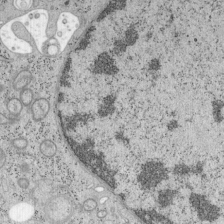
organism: Mouse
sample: OT-I killer T cells with ID8 ovarian cancer cells